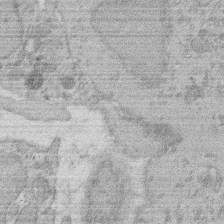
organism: Rat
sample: Salivary granule